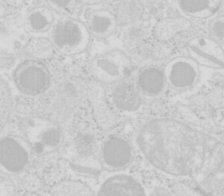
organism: Mouse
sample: Pancreas